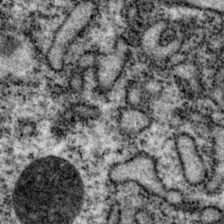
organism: P. pacificus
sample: Pharynx